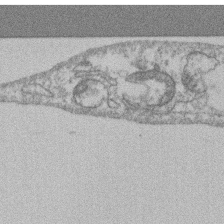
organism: Mouse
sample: T cell stromal cell synapse